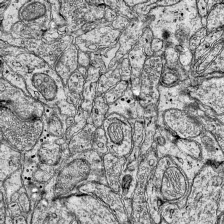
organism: Mouse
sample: Visual Cortex